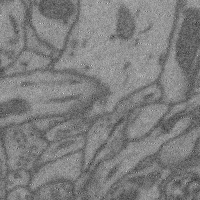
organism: Mouse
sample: Cerebral cortex